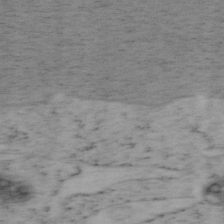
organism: Mouse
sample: OT-I killer T cells with ID8 ovarian cancer cells